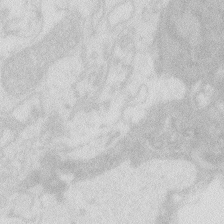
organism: Zebrafish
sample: Macrophage